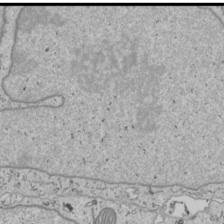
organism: Human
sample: Mitochondria in U2OS cells